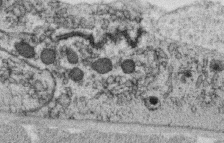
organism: C. elegans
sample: C. elegans oocyte; sperm cells